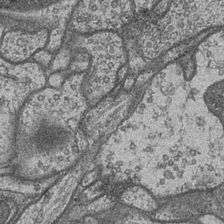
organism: Drosophila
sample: Optic medulla